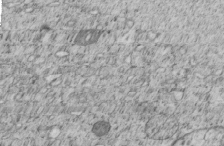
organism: C. elegans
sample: C. elegans embryo early stage